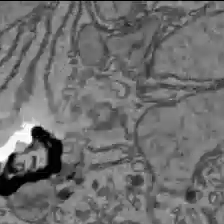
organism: C57BL Mouse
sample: Liver